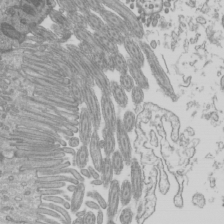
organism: Mouse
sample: Cilia; mouse epididymis